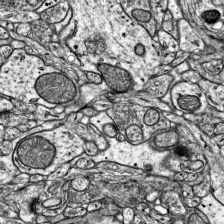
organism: Mouse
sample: Visual Cortex